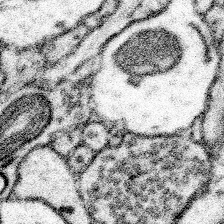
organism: Mouse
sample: Somatosensory cortex neuropil